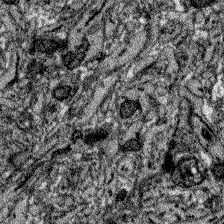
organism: Zebrafish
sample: Larval olfactory bulb